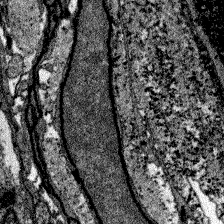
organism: Zebrafish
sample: Larval olfactory bulb